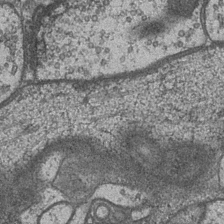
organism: Drosophila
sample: Optic medulla